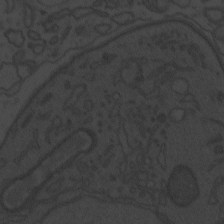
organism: Zebrafish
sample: Macrophage infected with Toxoplasma gondii